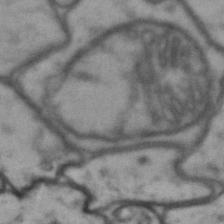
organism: Drosophila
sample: Brain